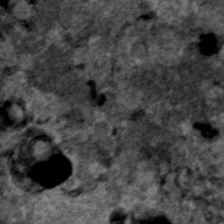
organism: Human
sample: Mitochondria in HCT116 cells